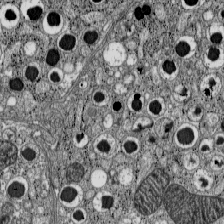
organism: C57BL Mouse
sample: Pancreatic islet